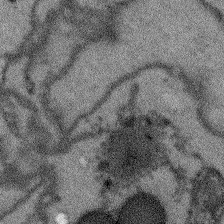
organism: Arabidopsis thaliana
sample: Root tip